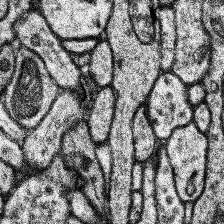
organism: Human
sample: Temporal Lobe